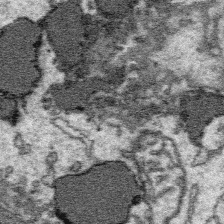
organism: Platynereis dumerilii